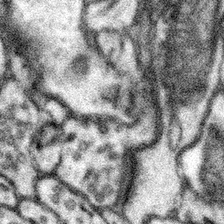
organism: Mouse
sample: Somatosensory cortex neuropil